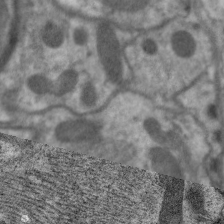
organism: C. elegans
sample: Pharynx